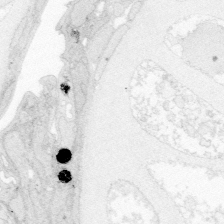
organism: Zebrafish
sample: Whole-Brain